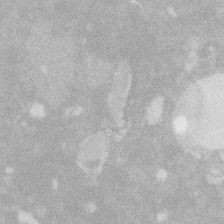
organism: Zebrafish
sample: Macrophage